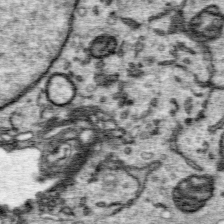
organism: Human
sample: HeLa cells